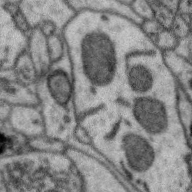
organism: Zebra finch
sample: Brain